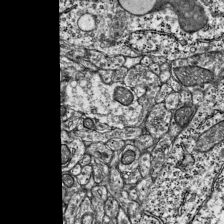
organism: Mouse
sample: Visual Cortex